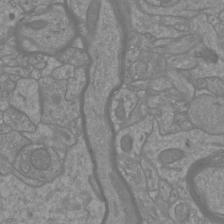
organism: Mouse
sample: Cortical neurons